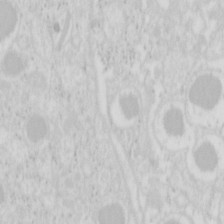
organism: Mouse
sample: Pancreas